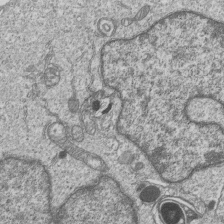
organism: Human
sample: MDA-MB-231 cells